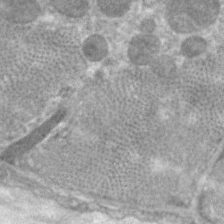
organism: C. elegans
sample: Pharynx